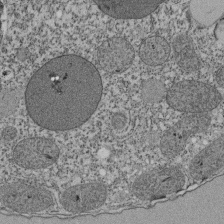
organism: Tetrahymena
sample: Cilia in tetrahymena